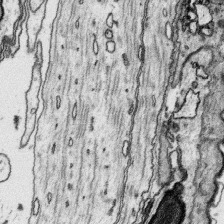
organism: Platynereis dumerilii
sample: Parapodia